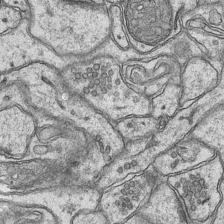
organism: Mouse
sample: CA1 Hippocampus